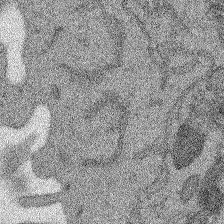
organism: Human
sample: HeLa cells